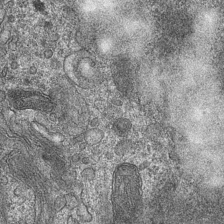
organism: Mouse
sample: CA1 Hippocampus